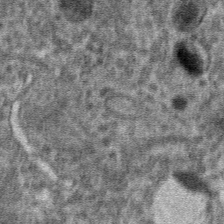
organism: Mouse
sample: Mouse hepatocytes